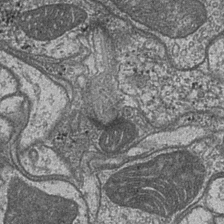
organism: Drosophila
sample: Optic medulla